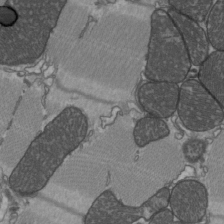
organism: C57BL Mouse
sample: Heart